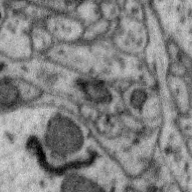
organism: Zebra finch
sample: Brain